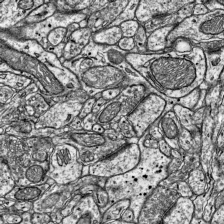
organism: Mouse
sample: Visual Cortex